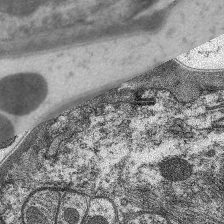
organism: C. elegans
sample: Pharynx